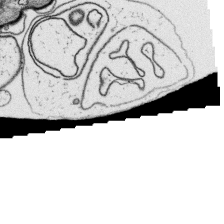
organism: Platynereis dumerilii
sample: Parapodia